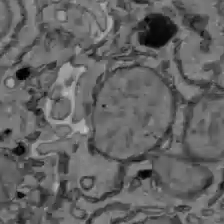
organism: C57BL Mouse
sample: Liver